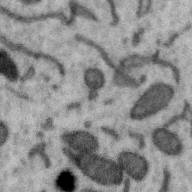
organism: Zebra finch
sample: Brain